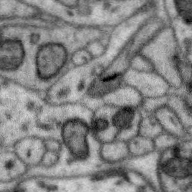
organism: Zebra finch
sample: Brain